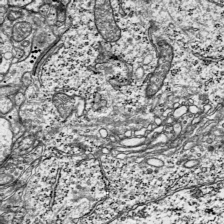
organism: Mouse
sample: Visual Cortex